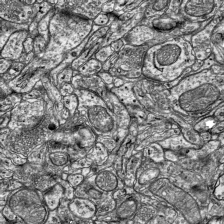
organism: Mouse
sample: Visual Cortex